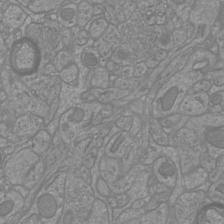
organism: Mouse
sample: Cortical neurons